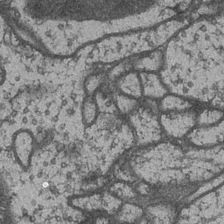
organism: Drosophila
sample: Optic medulla